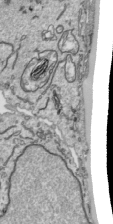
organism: Human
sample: Mitochondria in HCT116 cells